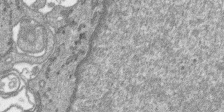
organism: Human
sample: Lung epithelial cells infected with SARS-CoV-2